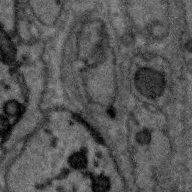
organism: Zebra finch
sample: Brain